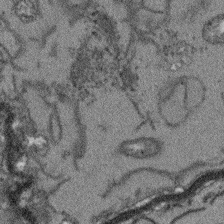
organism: Arabidopsis thaliana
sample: Root tip